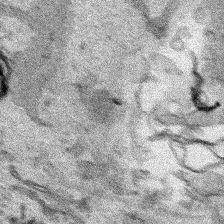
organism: Human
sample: Mitochondria in HCT116 cells